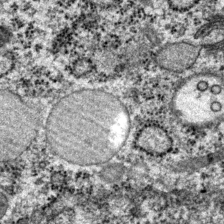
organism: P. pacificus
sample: Pharynx